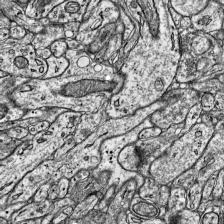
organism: Mouse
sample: Visual Cortex